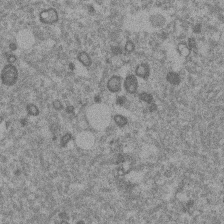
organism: Mouse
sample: Dividing mouse embryo 1 cell stage